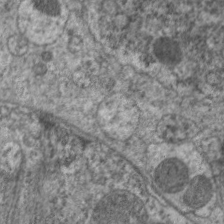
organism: C. elegans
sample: Pharynx